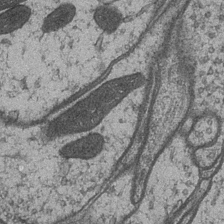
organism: Drosophila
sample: Optic medulla